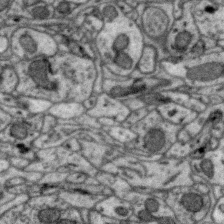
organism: Zebra finch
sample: Brain